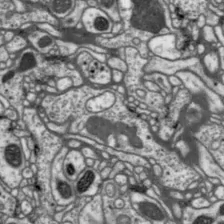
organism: Drosophila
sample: Protocerebral bridge